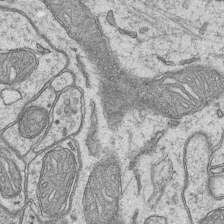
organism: Mouse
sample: CA1 Hippocampus